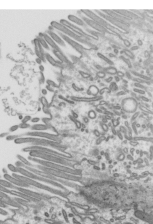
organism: Mouse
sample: Mouse epididymis efferent ductule cilia